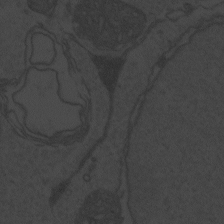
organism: Zebrafish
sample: Macrophage infected with Toxoplasma gondii